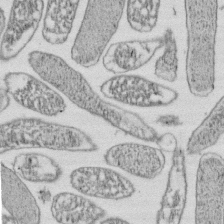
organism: E. coli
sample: Bacterial nucleoid